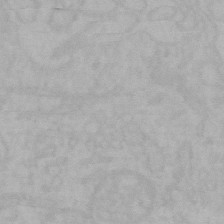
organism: Mouse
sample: Choroid plexus